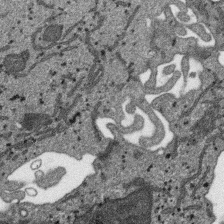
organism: Human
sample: Lung epithelial cells infected with SARS-CoV-2